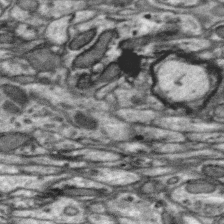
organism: Zebra finch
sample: Brain